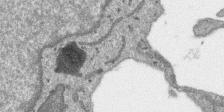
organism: Human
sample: Lung epithelial cells infected with SARS-CoV-2